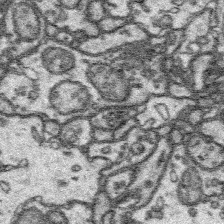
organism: Platynereis dumerilii